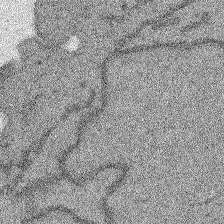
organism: Human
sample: HeLa cells